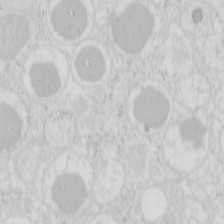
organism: Mouse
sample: Pancreas